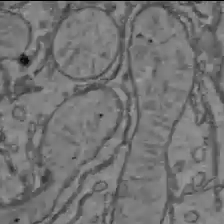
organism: C57BL Mouse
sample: Liver